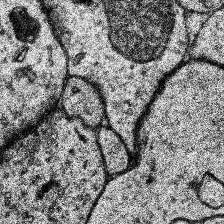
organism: Human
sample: Temporal Lobe